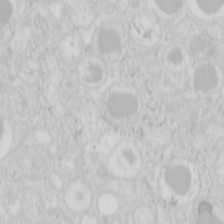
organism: Mouse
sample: Pancreas